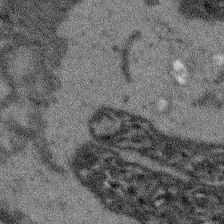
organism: Arabidopsis thaliana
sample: Root tip